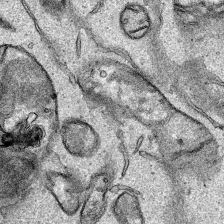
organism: Human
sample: Mitochondria in HCT116 cells